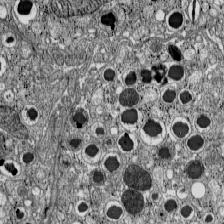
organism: C57BL Mouse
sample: Pancreatic islet